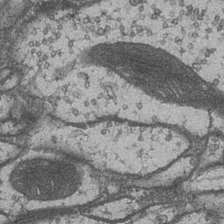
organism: Drosophila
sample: Optic medulla